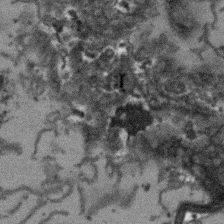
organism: Arabidopsis thaliana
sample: Root tip